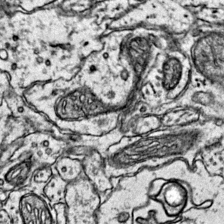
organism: Mouse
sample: Primary visual cortex